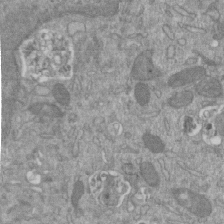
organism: Mouse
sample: ED-1 cell nuclei; centrioles